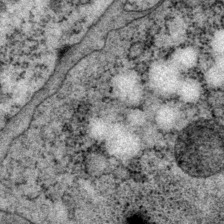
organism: P. pacificus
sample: Pharynx